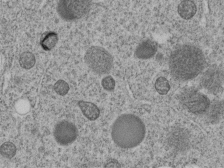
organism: C. elegans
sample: C. elegans embryo early stage